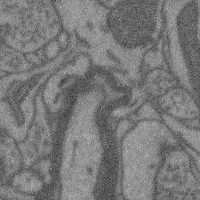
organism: Mouse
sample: Cerebral cortex